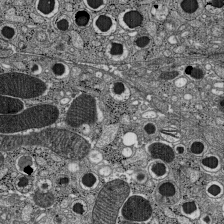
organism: C57BL Mouse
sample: Pancreatic islet